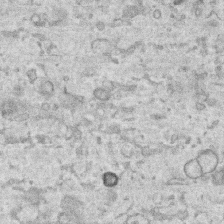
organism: Human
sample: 1205lu cells